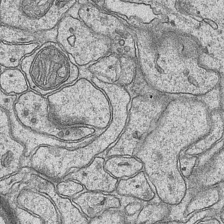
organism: Mouse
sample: CA1 Hippocampus